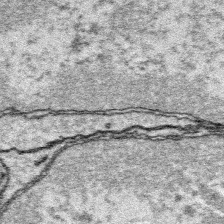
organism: Platynereis dumerilii